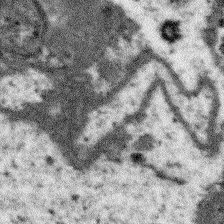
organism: Arabidopsis thaliana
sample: Root tip